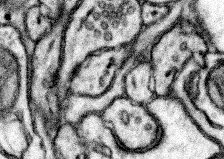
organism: Mouse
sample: Somatosensory cortex neuropil